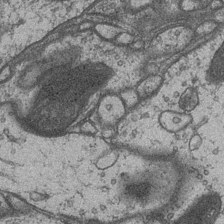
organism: Drosophila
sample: Optic medulla